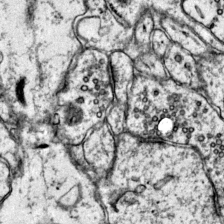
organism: Mouse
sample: Primary visual cortex